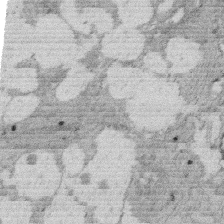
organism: Rat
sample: Salivary granule